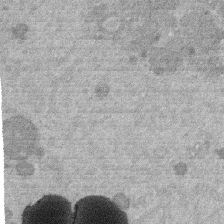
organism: Mouse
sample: Dividing mouse embryo 1 cell stage